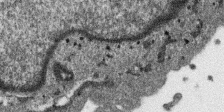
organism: Human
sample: Lung epithelial cells infected with SARS-CoV-2